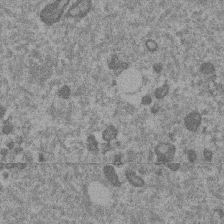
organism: Mouse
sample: Dividing mouse embryo 1 cell stage